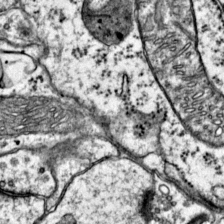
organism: Mouse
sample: Primary visual cortex